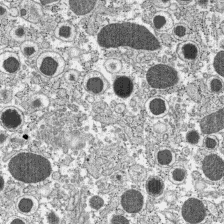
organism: C57BL Mouse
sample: Pancreatic islet